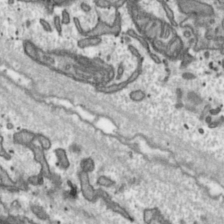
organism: Toxoplasma gondii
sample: Parasites in a vacuole inside a host cell